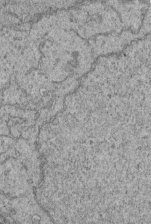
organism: Human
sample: Retinal organoid Rod and Cone cells